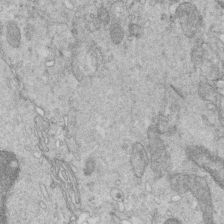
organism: Mouse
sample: Multiciliated cells